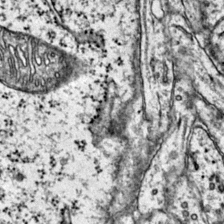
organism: Mouse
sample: Primary visual cortex